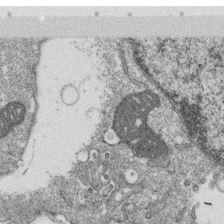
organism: African green monkey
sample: Vero E6 cells infected with SARS-CoV-2